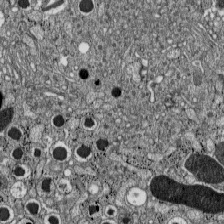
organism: C57BL Mouse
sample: Pancreatic islet